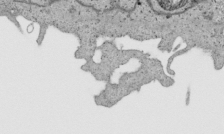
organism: Human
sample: Mitochondria in HCT116 cells